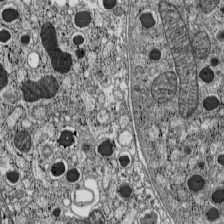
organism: C57BL Mouse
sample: Pancreatic islet